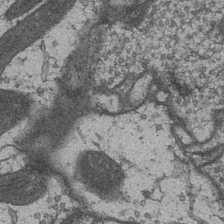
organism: Drosophila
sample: Optic medulla